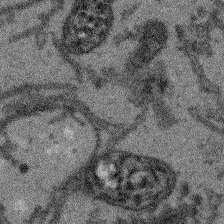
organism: Arabidopsis thaliana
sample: Root tip